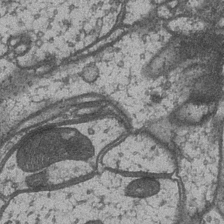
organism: Drosophila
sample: Optic medulla